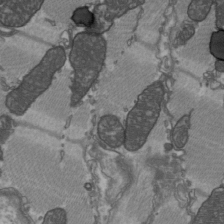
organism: C57BL Mouse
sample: Heart